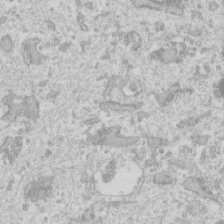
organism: Human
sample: Fibroblast cells